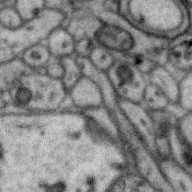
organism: Zebra finch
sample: Brain